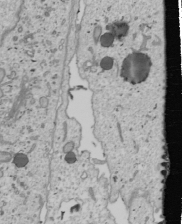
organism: Human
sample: Mitochondria in U2OS cells